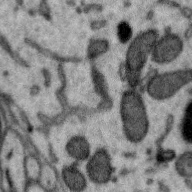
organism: Zebra finch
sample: Brain